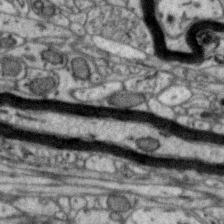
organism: Zebra finch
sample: Brain